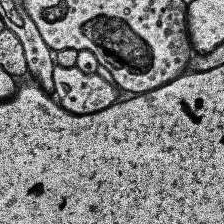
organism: Human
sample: Temporal Lobe